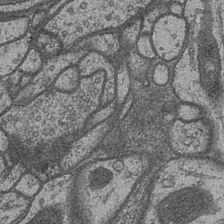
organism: Drosophila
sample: Optic medulla